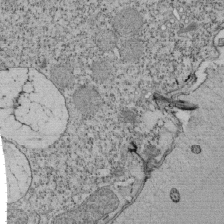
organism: Tetrahymena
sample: Cilia in tetrahymena